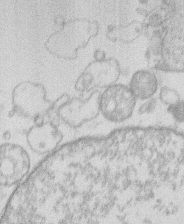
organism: Human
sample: Macrophage cells